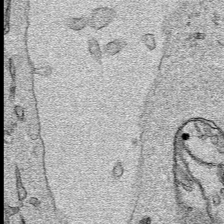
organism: Human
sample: Mitochondria in HCT116 cells